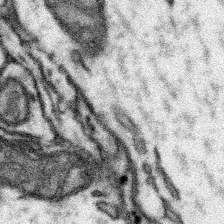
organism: Mouse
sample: Somatosensory cortex neuropil